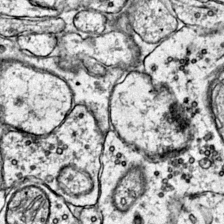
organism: Mouse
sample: Primary visual cortex